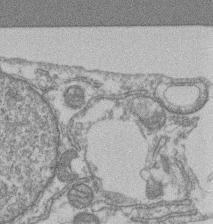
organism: Mouse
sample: T cell stromal cell synapse